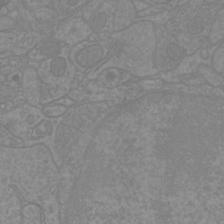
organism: Mouse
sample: Cortical neurons